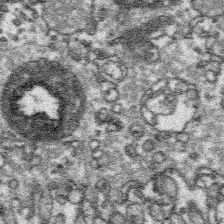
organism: Platynereis dumerilii